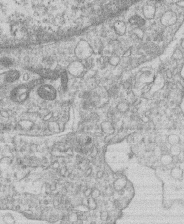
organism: Human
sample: Macrophage cells